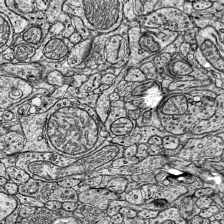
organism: Mouse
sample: Visual Cortex